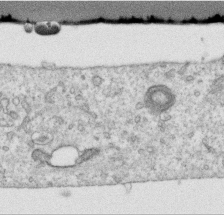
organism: Human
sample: Centriole in RPE cells